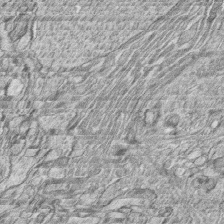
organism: Zebrafish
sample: synaptic ribbons in rod cells and cone cells